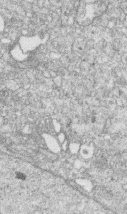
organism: Human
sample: HeLa cell HIV synapse